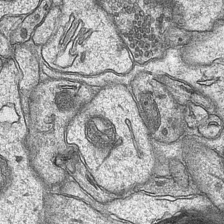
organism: Mouse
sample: CA1 Hippocampus